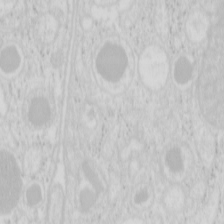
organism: Mouse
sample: Pancreas